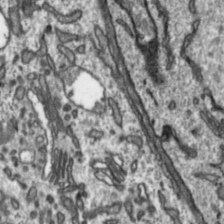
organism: Toxoplasma gondii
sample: Parasites in a vacuole inside a host cell